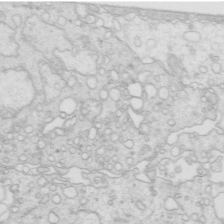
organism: Mouse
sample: Multiciliated cells